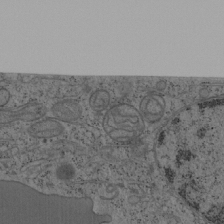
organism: Human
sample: HeLa cells